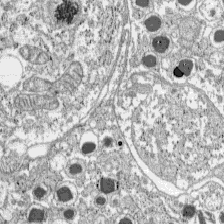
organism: C57BL Mouse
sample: Pancreatic islet